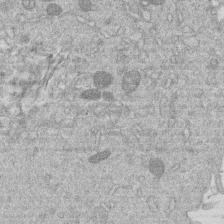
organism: Human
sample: Macrophage cells